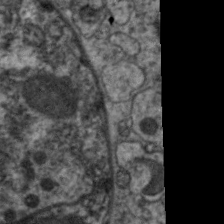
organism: C. elegans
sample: Pharynx